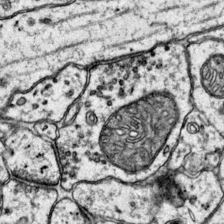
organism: Mouse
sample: Primary visual cortex